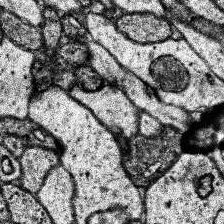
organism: Human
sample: Temporal Lobe